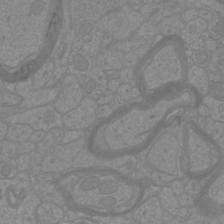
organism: Mouse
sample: Cortical neurons